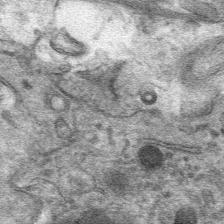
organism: Mouse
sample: Mouse hepatocytes